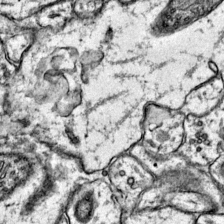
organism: Mouse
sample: Primary visual cortex